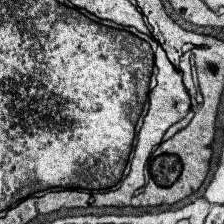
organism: Human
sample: Temporal Lobe